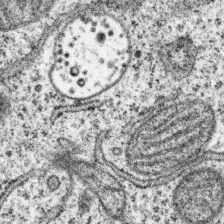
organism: Human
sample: HeLa cells